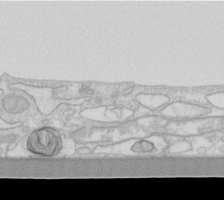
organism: Human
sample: Fibroblast cells